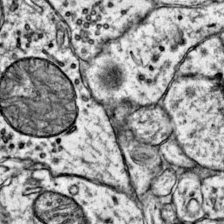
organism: Mouse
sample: Primary visual cortex